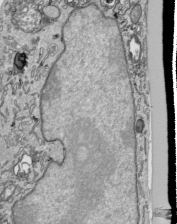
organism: Human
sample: Mitochondria in HCT116 cells